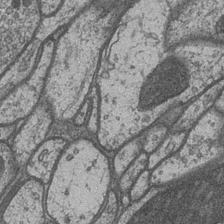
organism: Drosophila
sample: Optic medulla